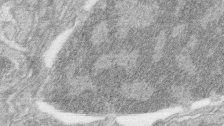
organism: Zebrafish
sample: synaptic ribbons in rod cells and cone cells